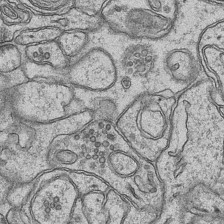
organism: Mouse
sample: CA1 Hippocampus